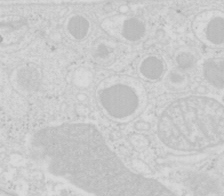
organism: Mouse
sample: Pancreas